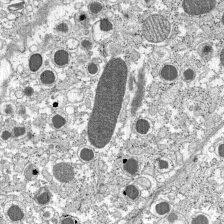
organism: C57BL Mouse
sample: Pancreatic islet